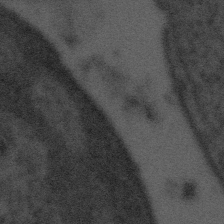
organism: Tuwongella immobilis